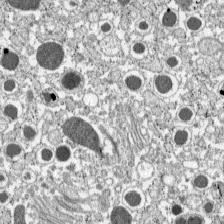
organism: C57BL Mouse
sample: Pancreatic islet